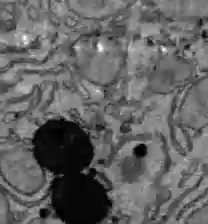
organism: C57BL Mouse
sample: Liver